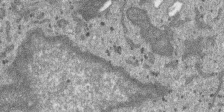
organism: Human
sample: Lung epithelial cells infected with SARS-CoV-2